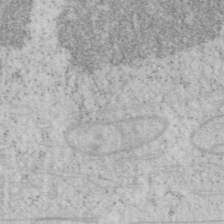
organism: Human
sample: HeLa cells